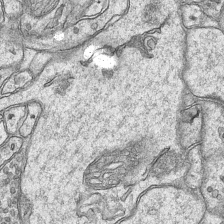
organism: Mouse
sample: CA1 Hippocampus